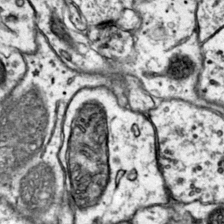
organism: Mouse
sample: Primary visual cortex